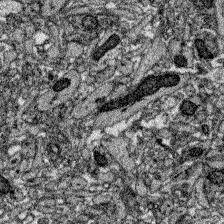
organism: Zebrafish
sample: Larval olfactory bulb